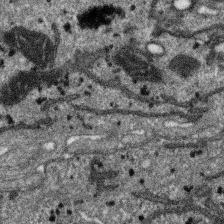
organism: Human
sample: Lung epithelial cells infected with SARS-CoV-2